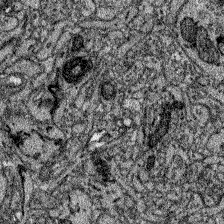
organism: Zebrafish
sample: Larval olfactory bulb